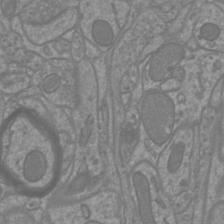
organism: Mouse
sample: Cortical neurons